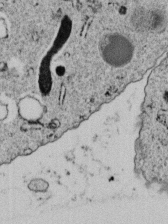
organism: C. elegans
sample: C. elegans embryo early stage